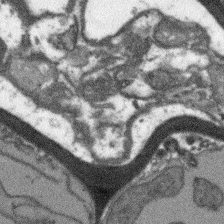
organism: Arabidopsis thaliana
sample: Root tip